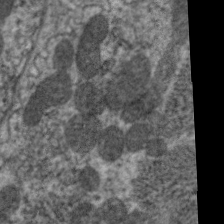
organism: C. elegans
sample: Pharynx